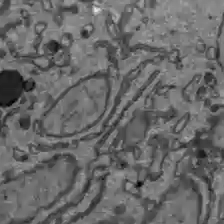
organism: C57BL Mouse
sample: Liver